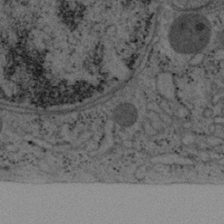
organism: Human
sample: HeLa cells